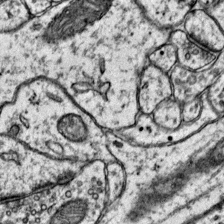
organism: Mouse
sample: Primary visual cortex